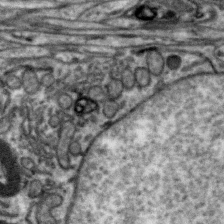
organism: Zebra finch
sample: Brain